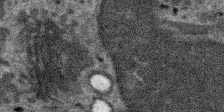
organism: Human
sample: Lung epithelial cells infected with SARS-CoV-2